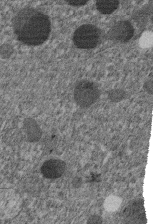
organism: C. elegans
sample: C. elegans embryo early stage